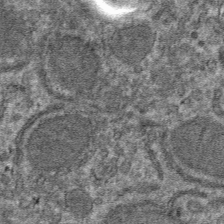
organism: Mouse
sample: Mouse hepatocytes